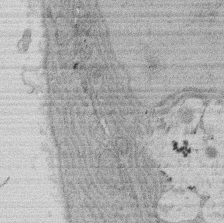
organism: Rat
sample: Salivary granule